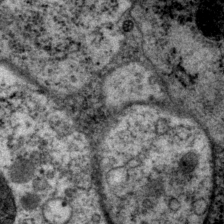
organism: P. pacificus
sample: Pharynx